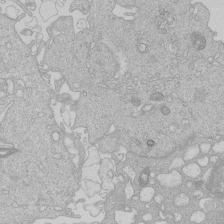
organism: Human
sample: Macrophage cells